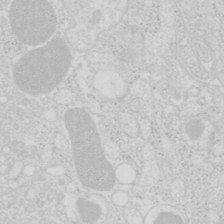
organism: Mouse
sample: Pancreas